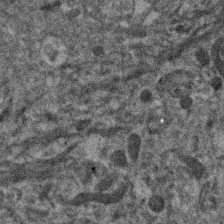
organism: Human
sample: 1205lu cells